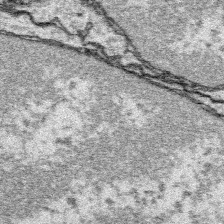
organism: Platynereis dumerilii